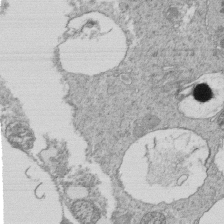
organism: Tetrahymena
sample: Cilia in tetrahymena